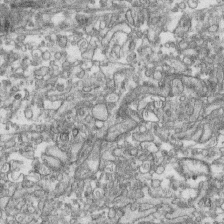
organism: Human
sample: CRL-1474